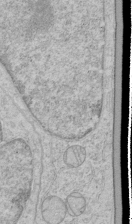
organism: Human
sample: Mitochondria in HCT116 cells